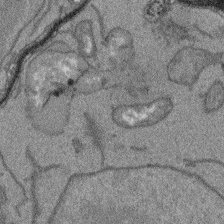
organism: Arabidopsis thaliana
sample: Root tip